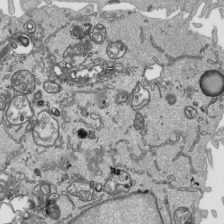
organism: Human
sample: Mitochondria in HCT116 cells